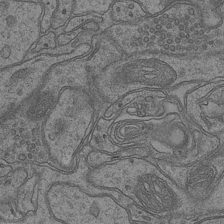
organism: Mouse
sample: CA1 Hippocampus